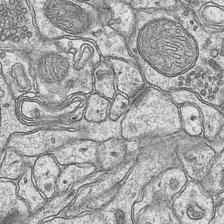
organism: Mouse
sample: CA1 Hippocampus